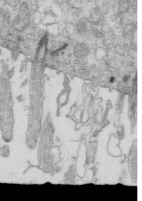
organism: Mouse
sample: Multiciliated cells